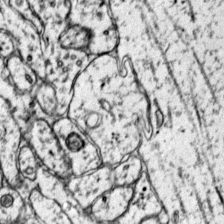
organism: Mouse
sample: Primary visual cortex